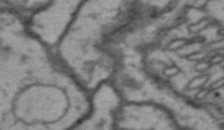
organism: Drosophila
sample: Brain